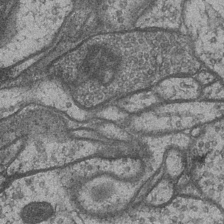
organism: Drosophila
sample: Optic medulla